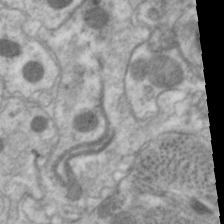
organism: C. elegans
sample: Pharynx